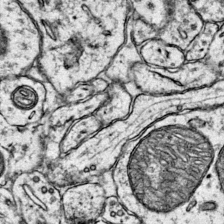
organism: Mouse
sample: Primary visual cortex